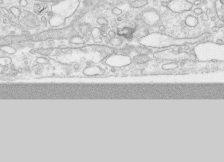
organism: Human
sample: CRL-1474